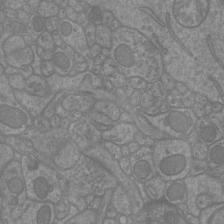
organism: Mouse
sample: Cortical neurons